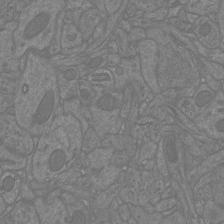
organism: Mouse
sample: Cortical neurons